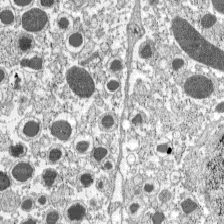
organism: C57BL Mouse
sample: Pancreatic islet